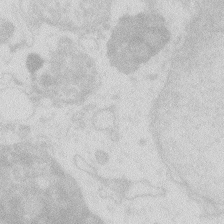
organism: Zebrafish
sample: Macrophage